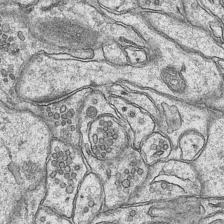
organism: Mouse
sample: CA1 Hippocampus